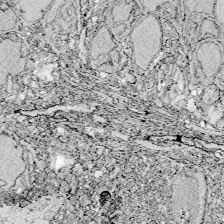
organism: Zebrafish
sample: Whole-Brain